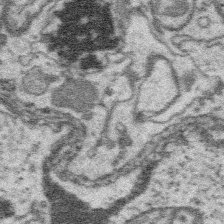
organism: Platynereis dumerilii